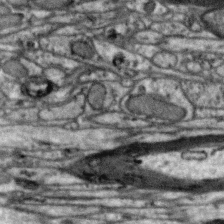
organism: Zebra finch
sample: Brain